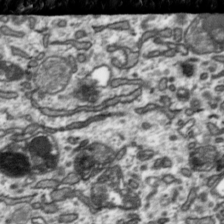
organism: Toxoplasma gondii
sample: Parasites in a vacuole inside a host cell